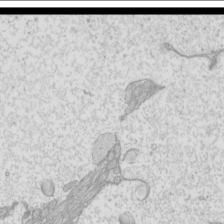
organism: Mouse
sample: Cilia; mouse epididymis